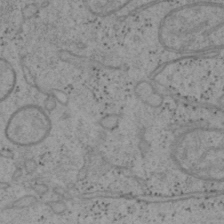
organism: Human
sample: HeLa cells